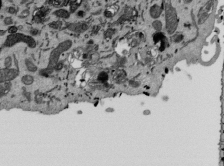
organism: Mouse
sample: ED-1 cell nuclei; centrioles